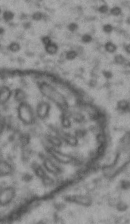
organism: Drosophila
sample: Brain